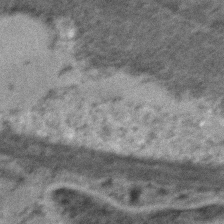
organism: C. elegans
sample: C. elegans embryo